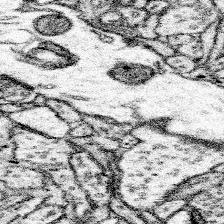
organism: Mouse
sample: Somatosensory cortex neuropil